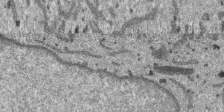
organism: Human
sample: Lung epithelial cells infected with SARS-CoV-2